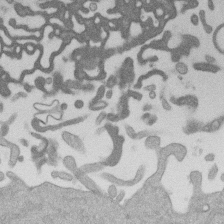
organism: Mouse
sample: Dividing mouse embryo 1 cell stage